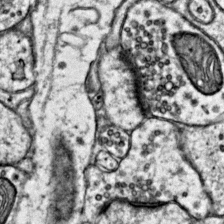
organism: Mouse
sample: Primary visual cortex